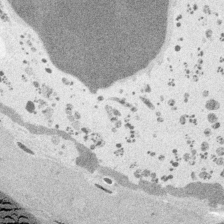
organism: Embia sp.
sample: Silk gland